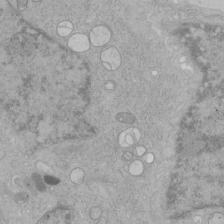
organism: Human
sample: Mitochondria in HCT116 cells